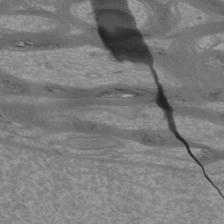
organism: Mouse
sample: Cortical neurons